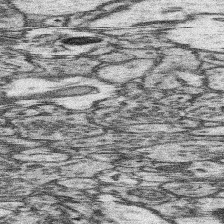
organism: Mouse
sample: Somatosensory cortex neuropil